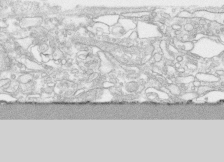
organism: Human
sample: CRL-1474